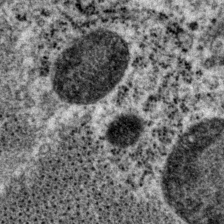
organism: P. pacificus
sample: Pharynx